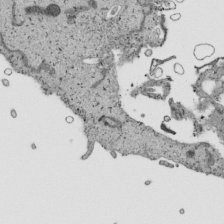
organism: Human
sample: Mitochondria in HCT116 cells